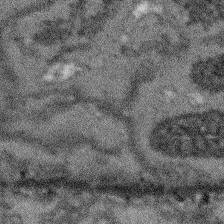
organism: Arabidopsis thaliana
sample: Root tip